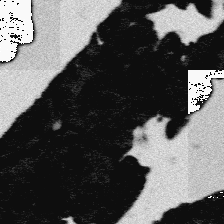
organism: Platynereis dumerilii